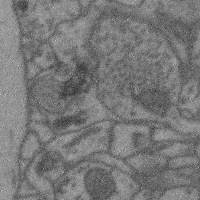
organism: Mouse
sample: Cerebral cortex